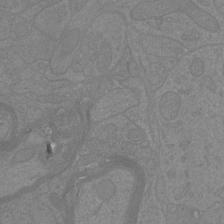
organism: Mouse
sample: Cortical neurons